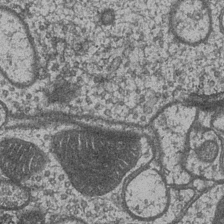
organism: Drosophila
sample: Optic medulla